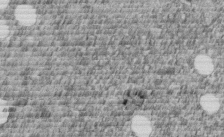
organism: C. elegans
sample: C. elegans embryo early stage